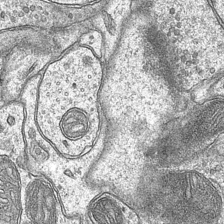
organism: Mouse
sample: CA1 Hippocampus